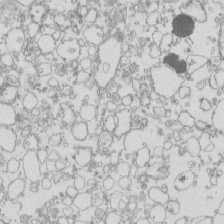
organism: Mouse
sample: Macrophages